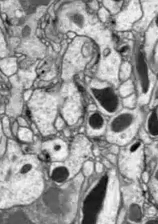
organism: Drosophila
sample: Optic lobe